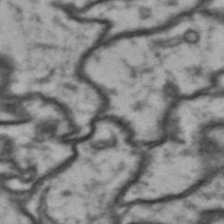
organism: Drosophila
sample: Brain